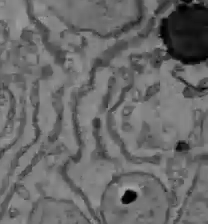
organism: C57BL Mouse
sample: Liver